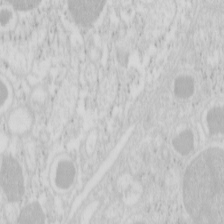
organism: Mouse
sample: Pancreas